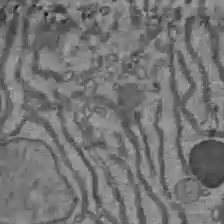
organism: C57BL Mouse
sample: Liver